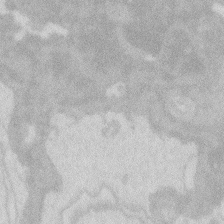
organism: Zebrafish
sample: Macrophage